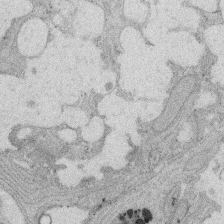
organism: Rat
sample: Salivary granule